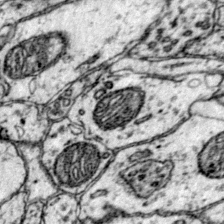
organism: Mouse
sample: Primary visual cortex